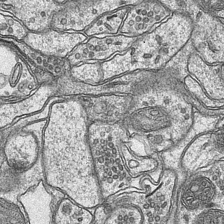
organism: Mouse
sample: CA1 Hippocampus